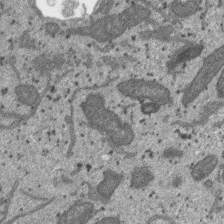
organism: Human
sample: Lung epithelial cells infected with SARS-CoV-2